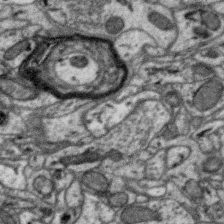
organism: Zebra finch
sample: Brain